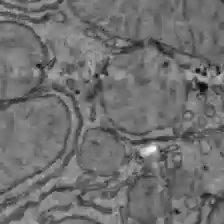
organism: C57BL Mouse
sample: Liver